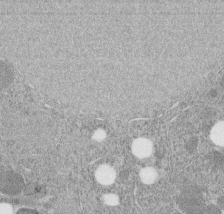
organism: C. elegans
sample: C. elegans embryo early stage